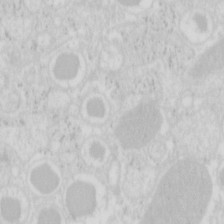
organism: Mouse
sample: Pancreas